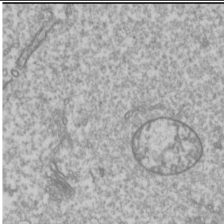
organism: Drosophila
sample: Cell division; meiosis; drosophila spermatocytes